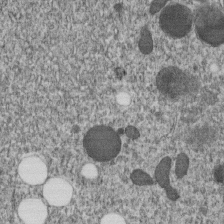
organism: C. elegans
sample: C. elegans embryo early stage